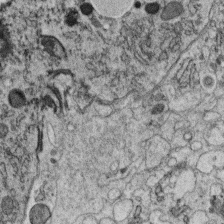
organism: C. elegans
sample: C. elegans oocyte; sperm cells